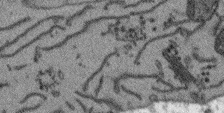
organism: Arabidopsis thaliana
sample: Root tip